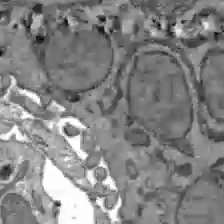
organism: C57BL Mouse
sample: Liver